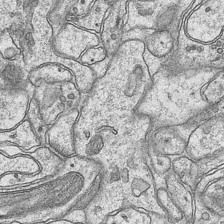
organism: Mouse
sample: CA1 Hippocampus